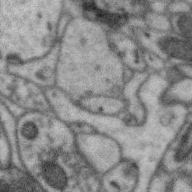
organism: Zebra finch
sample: Brain